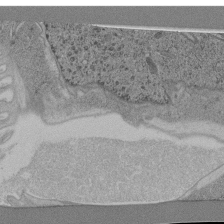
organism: C. elegans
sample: C. elegans pharynx